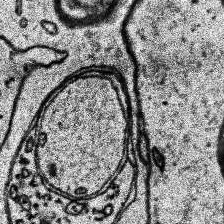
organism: Human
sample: Temporal Lobe